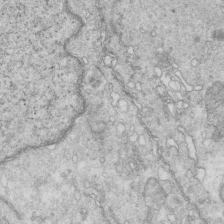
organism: Mouse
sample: Multiciliated cells